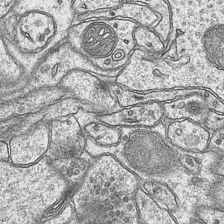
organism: Mouse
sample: CA1 Hippocampus